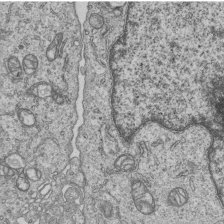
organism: Human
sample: MDA-MB-231 cells